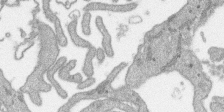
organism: Human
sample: Lung epithelial cells infected with SARS-CoV-2